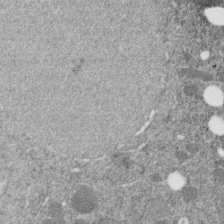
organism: C. elegans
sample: C. elegans embryo early stage